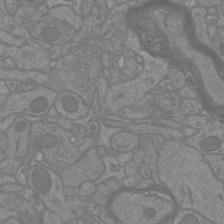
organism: Mouse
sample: Cortical neurons